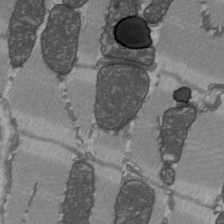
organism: C57BL Mouse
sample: Heart